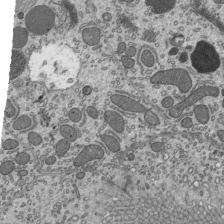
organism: Mouse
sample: Mouse epididymis efferent ductule cilia